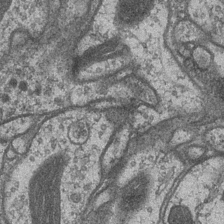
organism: Drosophila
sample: Optic medulla